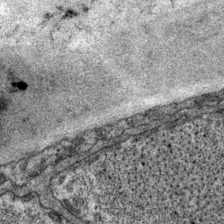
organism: P. pacificus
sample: Pharynx